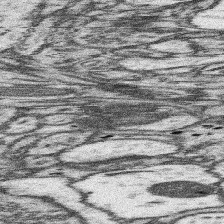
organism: Mouse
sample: Somatosensory cortex neuropil